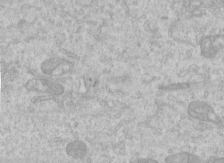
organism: Human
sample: Centriole in RPE cells